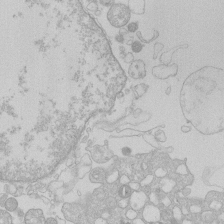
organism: Human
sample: Macrophage cells